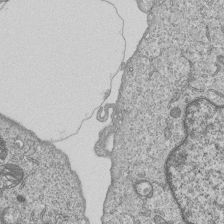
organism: Human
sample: MDA-MB-231 cells